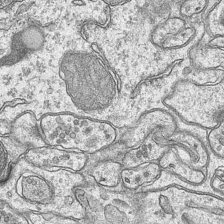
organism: Mouse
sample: CA1 Hippocampus